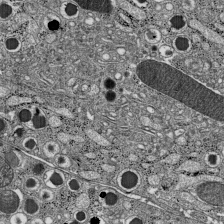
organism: C57BL Mouse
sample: Pancreatic islet